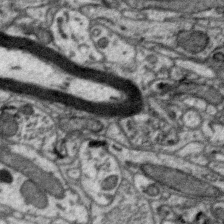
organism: Zebra finch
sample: Brain